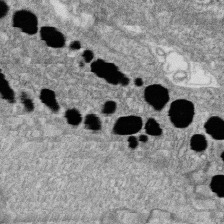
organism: Zebrafish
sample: Cilia; retinal pigment epithelium